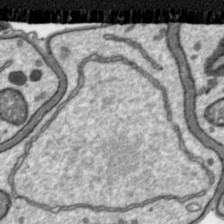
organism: Toxoplasma gondii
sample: Parasites in a vacuole inside a host cell